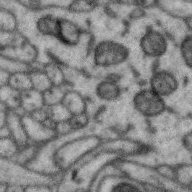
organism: Zebra finch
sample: Brain